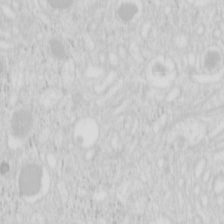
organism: Mouse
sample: Pancreas